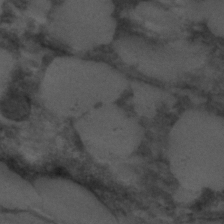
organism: C. elegans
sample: C. elegans embryo